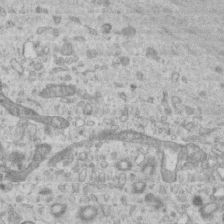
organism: Mouse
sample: Centriole in ependymal cells